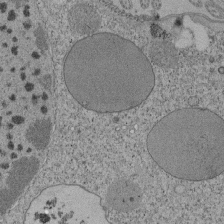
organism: Tetrahymena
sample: Cilia in tetrahymena